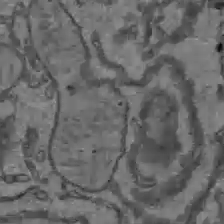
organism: C57BL Mouse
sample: Liver